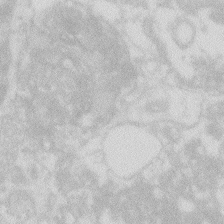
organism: Zebrafish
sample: Macrophage